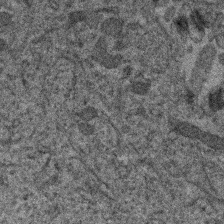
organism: Human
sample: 1205lu cells